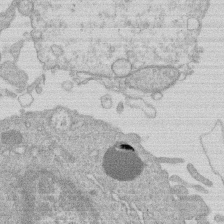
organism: Human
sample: Macrophage cells